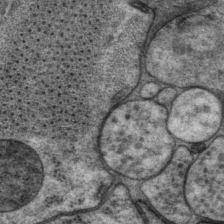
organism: P. pacificus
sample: Pharynx